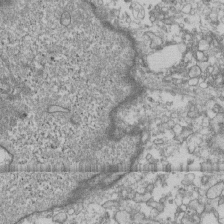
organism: Human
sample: Fibroblast cells